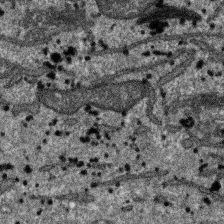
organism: Human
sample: Lung epithelial cells infected with SARS-CoV-2